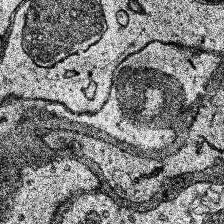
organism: Human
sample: Temporal Lobe